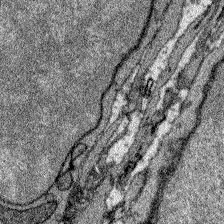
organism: Zebrafish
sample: Larval olfactory bulb